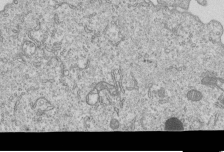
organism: Human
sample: MDA-MB-231 cells